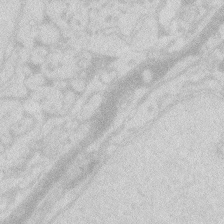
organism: Zebrafish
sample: Macrophage